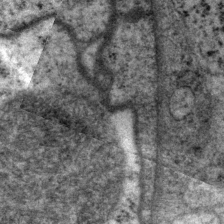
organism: P. pacificus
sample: Pharynx